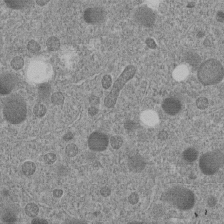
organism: C. elegans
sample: C. elegans embryo early stage